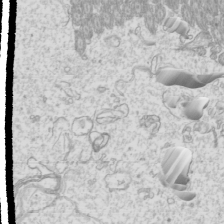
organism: Mouse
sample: Cilia; mouse epididymis